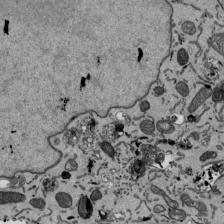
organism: Mouse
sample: ED-1 cell nuclei; centrioles